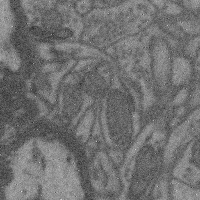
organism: Mouse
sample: Cerebral cortex